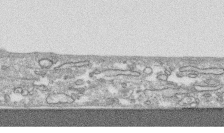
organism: Human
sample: CRL-1474